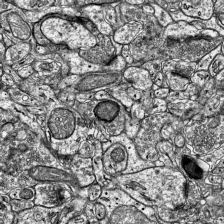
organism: Mouse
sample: Visual Cortex